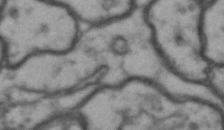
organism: Drosophila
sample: Brain